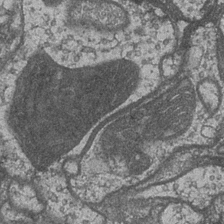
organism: Drosophila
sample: Optic medulla